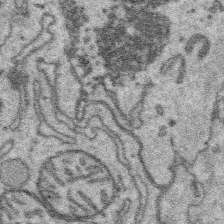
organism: Platynereis dumerilii